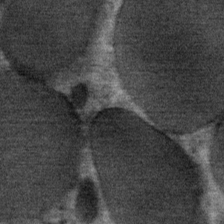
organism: Mouse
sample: Mouse Salivary gland